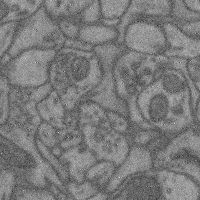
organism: Mouse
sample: Cerebral cortex